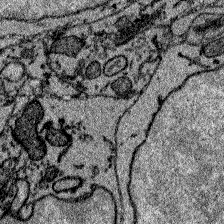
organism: Zebrafish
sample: Larval olfactory bulb